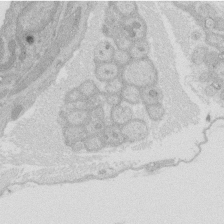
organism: Rat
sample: Salivary granule